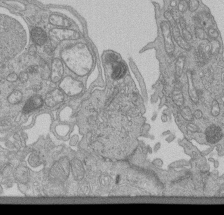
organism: Human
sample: Retinal organoid Rod and Cone cells